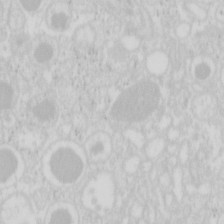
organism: Mouse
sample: Pancreas